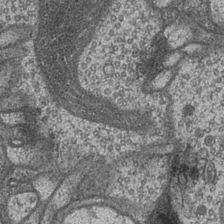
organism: Drosophila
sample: Optic medulla